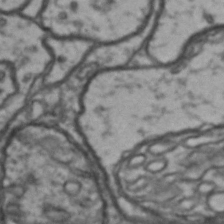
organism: Drosophila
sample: Brain